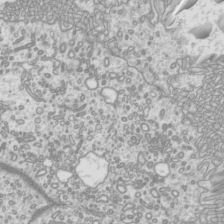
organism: Mouse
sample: Cilia; mouse epididymis